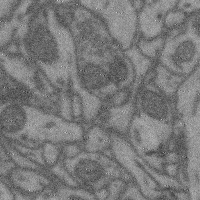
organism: Mouse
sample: Cerebral cortex